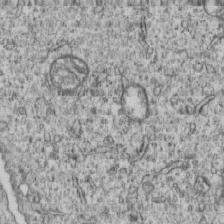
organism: Human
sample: MDA-MB-231 cells